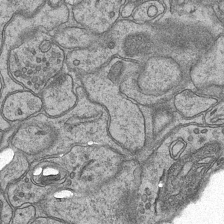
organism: Mouse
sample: CA1 Hippocampus